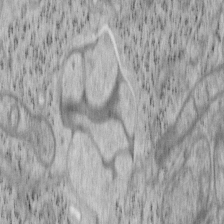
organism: Human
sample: HeLa cells